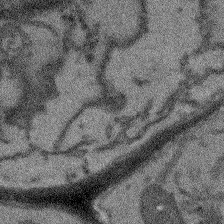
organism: Arabidopsis thaliana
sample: Root tip